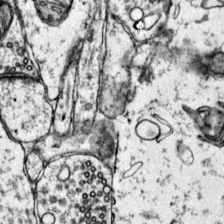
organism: Mouse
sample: Primary visual cortex